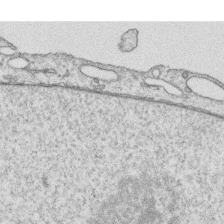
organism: Human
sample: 1205lu cells